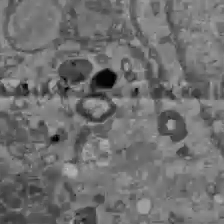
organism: C57BL Mouse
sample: Liver